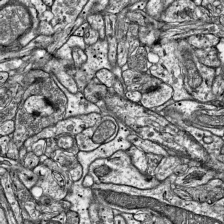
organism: Mouse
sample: Visual Cortex